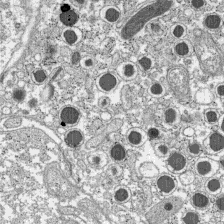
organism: C57BL Mouse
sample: Pancreatic islet